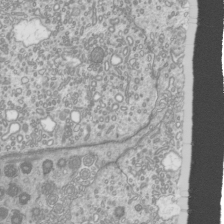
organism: Mouse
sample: Cilia; mouse epididymis